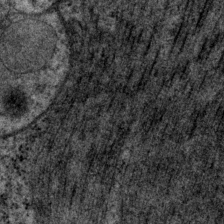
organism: P. pacificus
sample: Pharynx